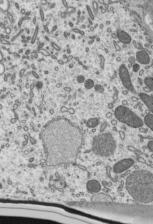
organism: Mouse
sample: Mouse epididymis efferent ductule cilia